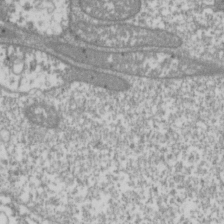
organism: Drosophila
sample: Cell division; meiosis; drosophila spermatocytes